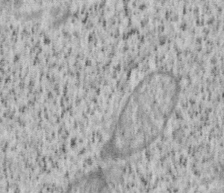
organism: Mouse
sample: OT-I killer T cells with ID8 ovarian cancer cells